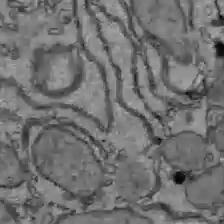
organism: C57BL Mouse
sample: Liver